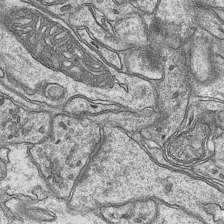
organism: Mouse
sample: CA1 Hippocampus